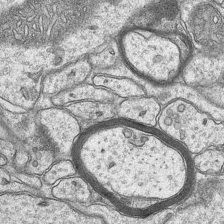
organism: Mouse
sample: CA1 Hippocampus